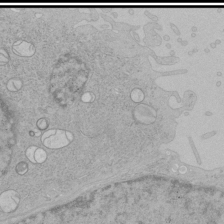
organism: Human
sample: Mitochondria in HCT116 cells